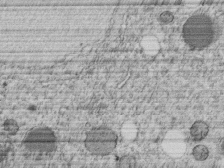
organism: C. elegans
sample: C. elegans embryo early stage